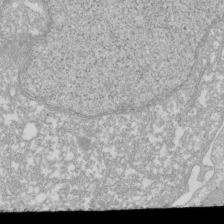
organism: Xenopus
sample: Cilia; centrioles in frog embryo cells